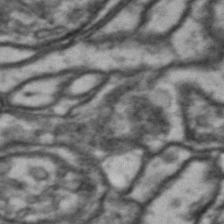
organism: Drosophila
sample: Brain